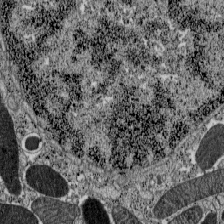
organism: C57BL Mouse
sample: Pancreatic islet